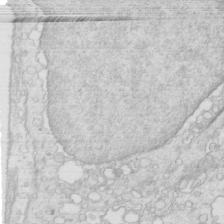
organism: Mouse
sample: Multiciliated cells